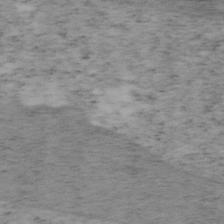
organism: Mouse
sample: OT-I killer T cells with ID8 ovarian cancer cells